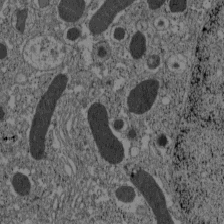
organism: C57BL Mouse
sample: Pancreatic islet